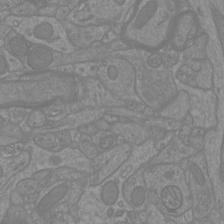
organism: Mouse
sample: Cortical neurons